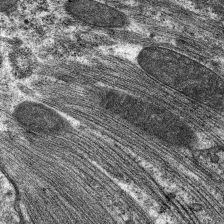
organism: C. elegans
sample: Pharynx